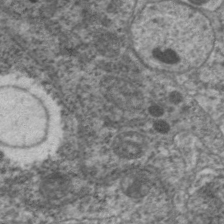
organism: C. elegans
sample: Pharynx